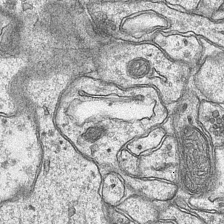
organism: Mouse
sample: CA1 Hippocampus